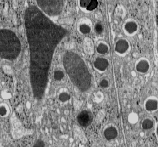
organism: C57BL Mouse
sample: Pancreatic islet